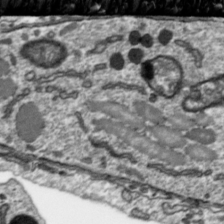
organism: Toxoplasma gondii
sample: Parasites in a vacuole inside a host cell